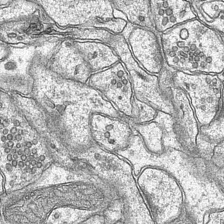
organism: Mouse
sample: CA1 Hippocampus